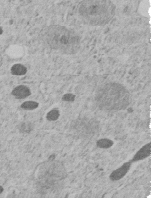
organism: C. elegans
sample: C. elegans embryo early stage